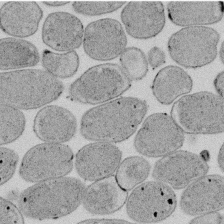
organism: E. coli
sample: Bacterial nucleoid